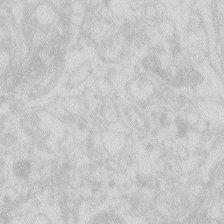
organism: Zebrafish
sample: Macrophage